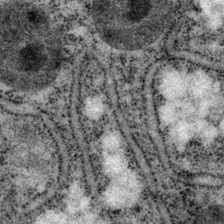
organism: P. pacificus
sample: Pharynx